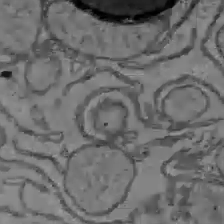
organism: C57BL Mouse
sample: Liver